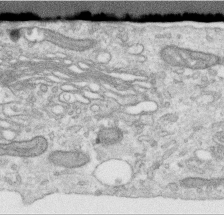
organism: Human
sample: Centriole in RPE cells